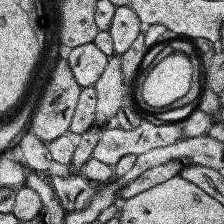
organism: Human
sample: Temporal Lobe